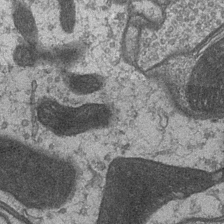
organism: Drosophila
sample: Optic medulla